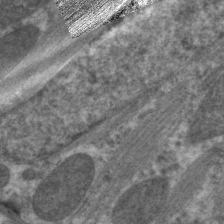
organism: C. elegans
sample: Pharynx